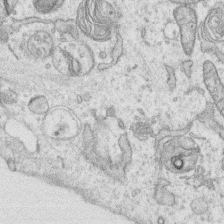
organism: Human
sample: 1205lu cells